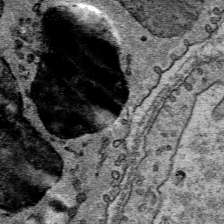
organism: Mouse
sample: Mouse Salivary gland